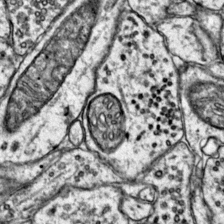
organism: Mouse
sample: Primary visual cortex